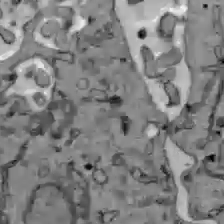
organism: C57BL Mouse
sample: Liver